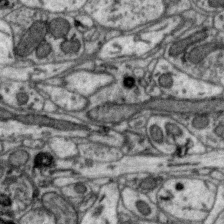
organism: Zebra finch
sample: Brain